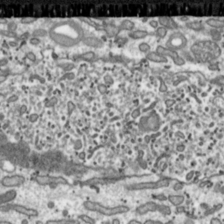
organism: Toxoplasma gondii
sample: Parasites in a vacuole inside a host cell